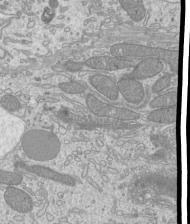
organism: Mouse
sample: Cilia; mouse epididymis